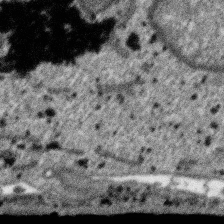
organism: Human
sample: Lung epithelial cells infected with SARS-CoV-2